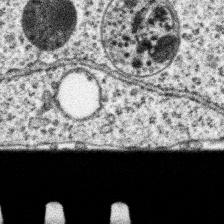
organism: Human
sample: HeLa cells